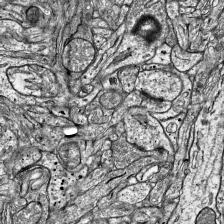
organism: Mouse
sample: Visual Cortex